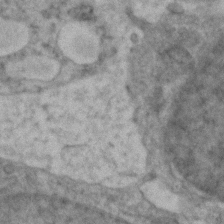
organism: Zebrafish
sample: Zebrafish embryo